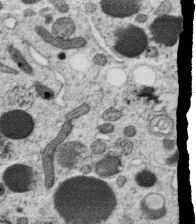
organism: C. elegans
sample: C. elegans oocyte; sperm cells